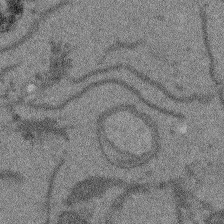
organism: Arabidopsis thaliana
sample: Root tip